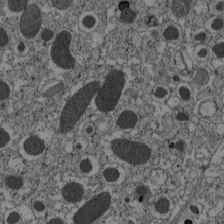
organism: C57BL Mouse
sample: Pancreatic islet